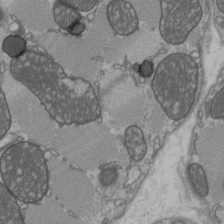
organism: C57BL Mouse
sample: Heart